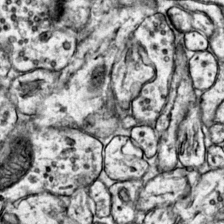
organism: Mouse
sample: Primary visual cortex